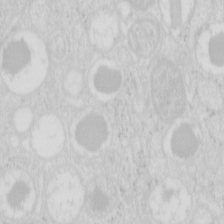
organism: Mouse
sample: Pancreas